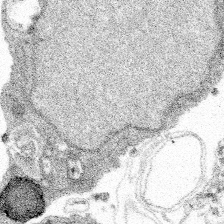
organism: Spongilla lacustris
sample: Multiple